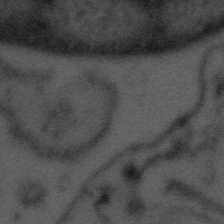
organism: Tuwongella immobilis